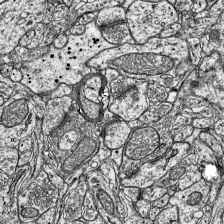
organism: Mouse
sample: Visual Cortex